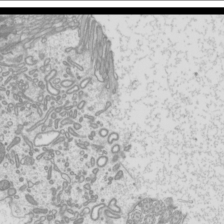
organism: Mouse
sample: Cilia; mouse epididymis